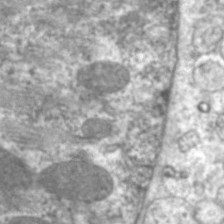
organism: C. elegans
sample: Pharynx